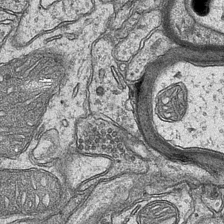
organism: Mouse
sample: CA1 Hippocampus